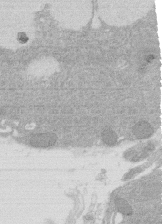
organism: Rat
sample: Salivary granule